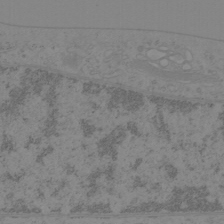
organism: Human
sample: HeLa cells